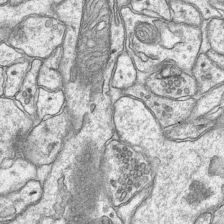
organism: Mouse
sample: CA1 Hippocampus